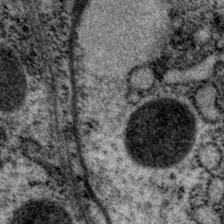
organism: P. pacificus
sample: Pharynx